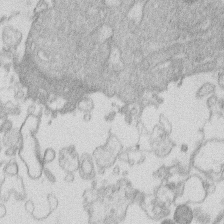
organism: Human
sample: Macrophage cells